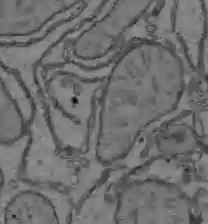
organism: C57BL Mouse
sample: Liver